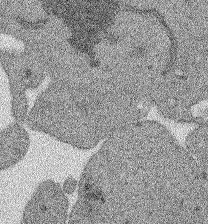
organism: Human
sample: HeLa cells